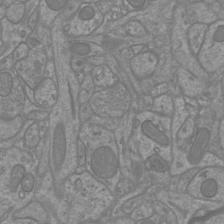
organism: Mouse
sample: Cortical neurons